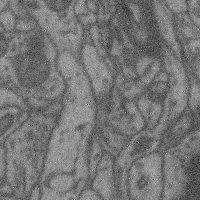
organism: Mouse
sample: Cerebral cortex